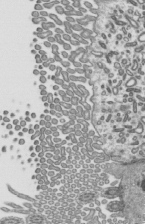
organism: Mouse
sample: Mouse epididymis efferent ductule cilia